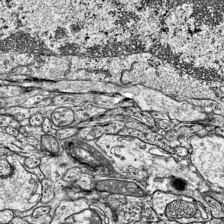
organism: Mouse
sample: Visual Cortex